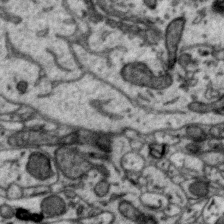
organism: Zebra finch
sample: Brain